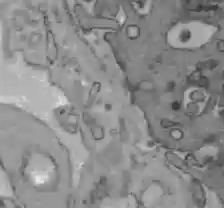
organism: C57BL Mouse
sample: Liver